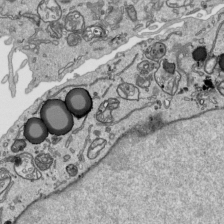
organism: Human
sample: Mitochondria in HCT116 cells